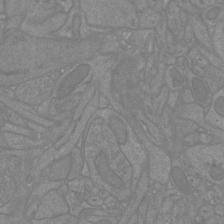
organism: Mouse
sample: Cortical neurons